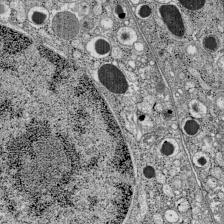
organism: C57BL Mouse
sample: Pancreatic islet